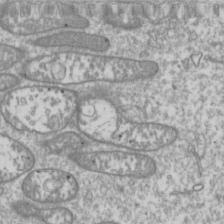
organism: Drosophila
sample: Cell division; meiosis; drosophila spermatocytes